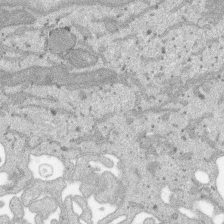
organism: Human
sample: Lung epithelial cells infected with SARS-CoV-2